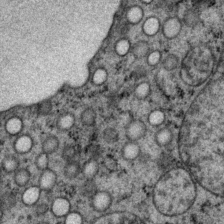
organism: P. pacificus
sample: Pharynx